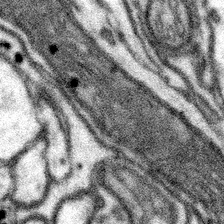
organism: Mouse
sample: Somatosensory cortex neuropil